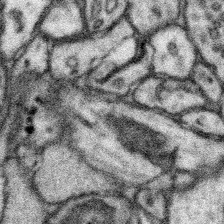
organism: Mouse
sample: Somatosensory cortex neuropil